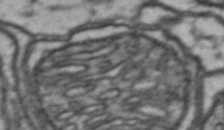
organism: Drosophila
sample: Brain